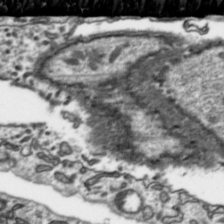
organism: Toxoplasma gondii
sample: Parasites in a vacuole inside a host cell